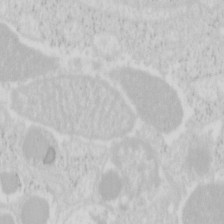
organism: Mouse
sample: Pancreas